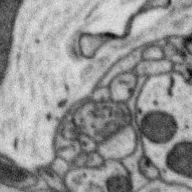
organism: Zebra finch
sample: Brain